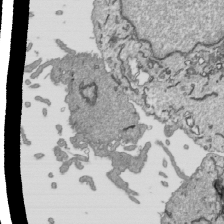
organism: Human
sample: Mitochondria in HCT116 cells